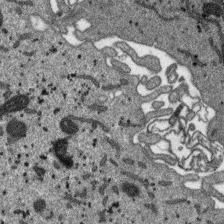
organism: Human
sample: Lung epithelial cells infected with SARS-CoV-2